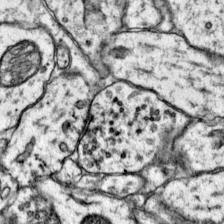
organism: Mouse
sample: Primary visual cortex